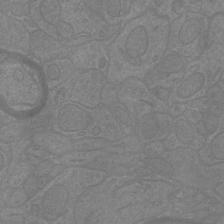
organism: Mouse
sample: Cortical neurons